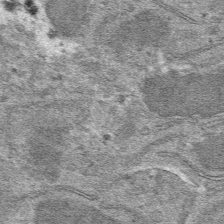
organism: Mouse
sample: Mouse hepatocytes